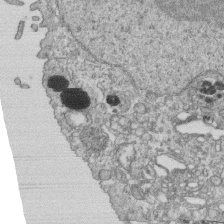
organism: Human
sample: HeLa cell HIV synapse